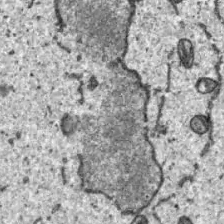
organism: Human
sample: HeLa cells